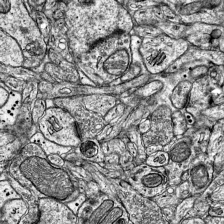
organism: Mouse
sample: Visual Cortex